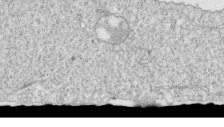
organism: Human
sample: HeLa cell HIV synapse